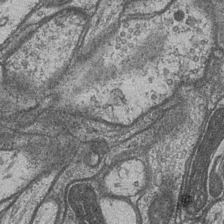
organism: Drosophila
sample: Optic medulla